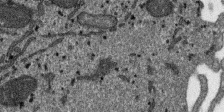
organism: Human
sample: Lung epithelial cells infected with SARS-CoV-2